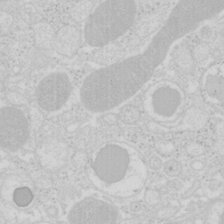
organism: Mouse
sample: Pancreas